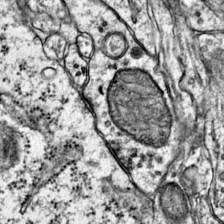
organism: Mouse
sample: Primary visual cortex